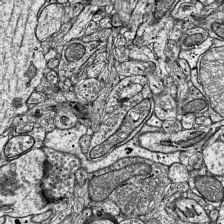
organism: Mouse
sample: Visual Cortex